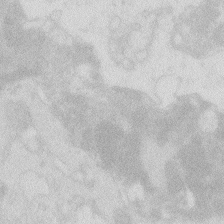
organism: Zebrafish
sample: Macrophage